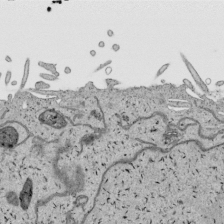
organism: Human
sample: Mitochondria in HCT116 cells